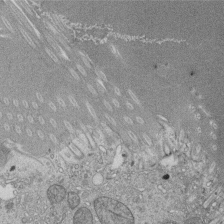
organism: Tetrahymena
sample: Cilia in tetrahymena